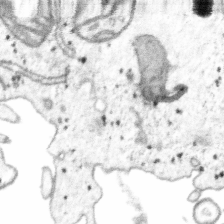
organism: Human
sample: HeLa cells